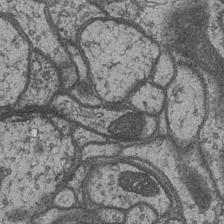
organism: Drosophila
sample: Optic medulla